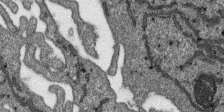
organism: Human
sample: Lung epithelial cells infected with SARS-CoV-2